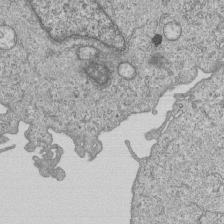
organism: Human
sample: MDA-MB-231 cells